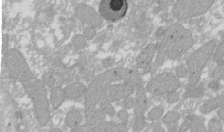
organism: Xenopus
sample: Cilia; centrioles in frog embryo cells